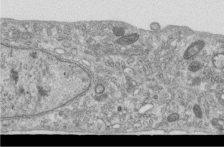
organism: Human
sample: Centriole in RPE cells